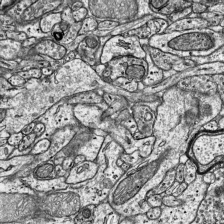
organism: Mouse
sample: Visual Cortex